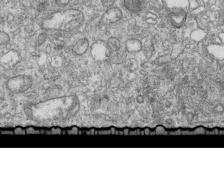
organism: Human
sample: HeLa cell HIV synapse